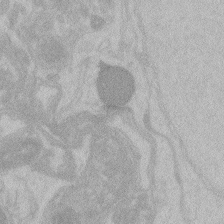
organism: Zebrafish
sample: Macrophage infected with Toxoplasma gondii